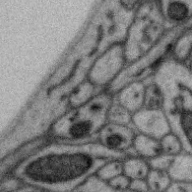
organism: Zebra finch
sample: Brain